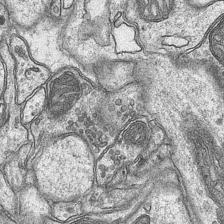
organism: Mouse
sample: CA1 Hippocampus